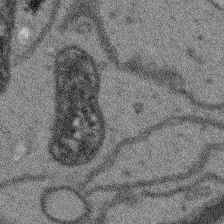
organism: Arabidopsis thaliana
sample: Root tip